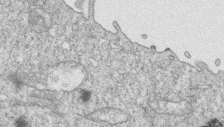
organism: Human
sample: HeLa cell HIV synapse